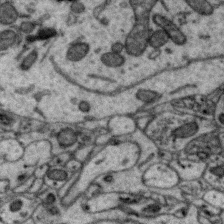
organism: Zebra finch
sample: Brain